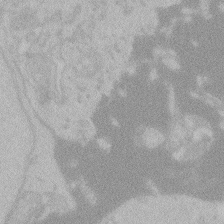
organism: Zebrafish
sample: Macrophage infected with Toxoplasma gondii